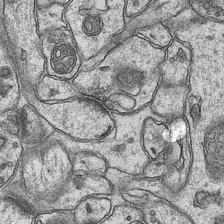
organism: Mouse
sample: CA1 Hippocampus